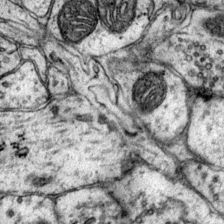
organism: Mouse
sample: Primary visual cortex